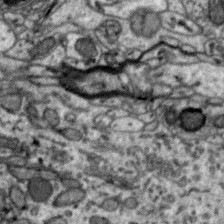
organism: Zebra finch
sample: Brain